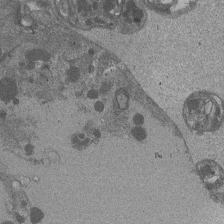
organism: Drosophila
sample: Antenna